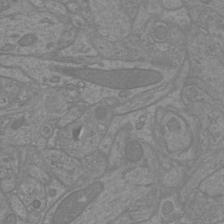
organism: Mouse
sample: Cortical neurons